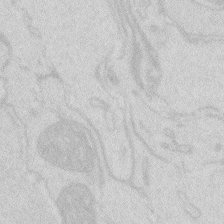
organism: Zebrafish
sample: Macrophage